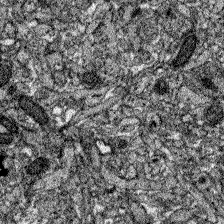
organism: Zebrafish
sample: Larval olfactory bulb